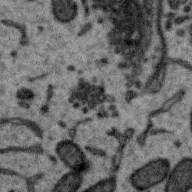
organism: Zebra finch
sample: Brain